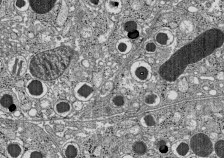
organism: C57BL Mouse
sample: Pancreatic islet